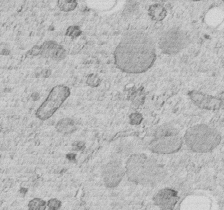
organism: C. elegans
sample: C. elegans embryo early stage